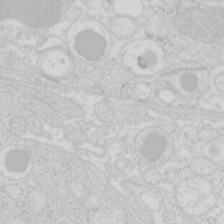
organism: Mouse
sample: Pancreas